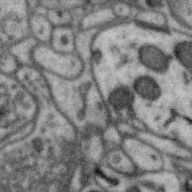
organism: Zebra finch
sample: Brain